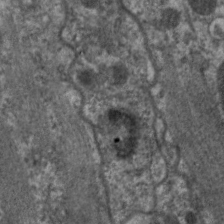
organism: C. elegans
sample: Pharynx